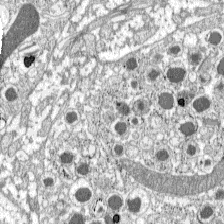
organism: C57BL Mouse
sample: Pancreatic islet